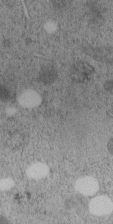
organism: C. elegans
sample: C. elegans embryo early stage